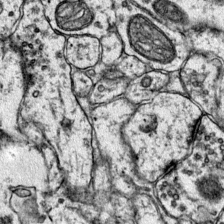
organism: Mouse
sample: Primary visual cortex